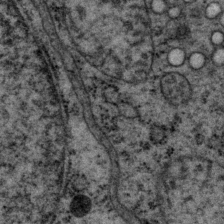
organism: P. pacificus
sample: Pharynx